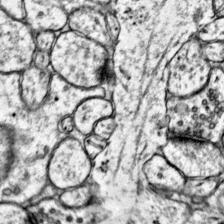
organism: Mouse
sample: Primary visual cortex